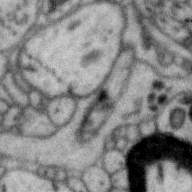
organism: Zebra finch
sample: Brain